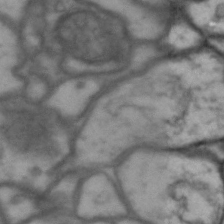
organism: Drosophila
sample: Brain